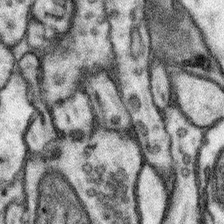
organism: Mouse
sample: Somatosensory cortex neuropil